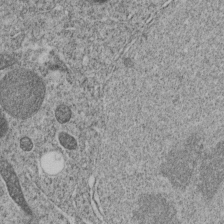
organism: C. elegans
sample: C. elegans embryo early stage